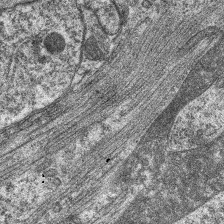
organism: C. elegans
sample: Pharynx